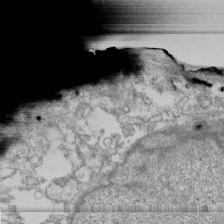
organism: Human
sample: Fibroblast cells